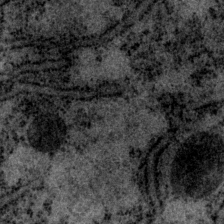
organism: P. pacificus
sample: Pharynx